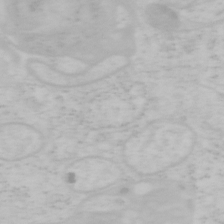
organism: Mouse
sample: OT-I killer T cells with ID8 ovarian cancer cells